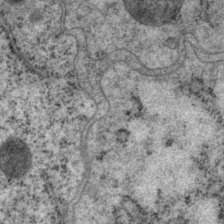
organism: P. pacificus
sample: Pharynx